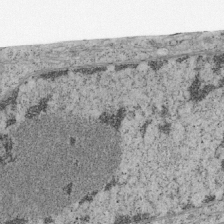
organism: Human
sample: HeLa cells